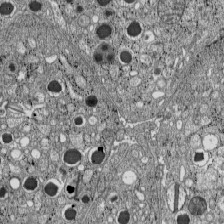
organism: C57BL Mouse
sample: Pancreatic islet